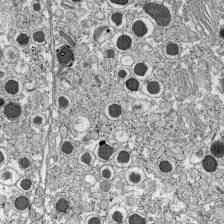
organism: C57BL Mouse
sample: Pancreatic islet